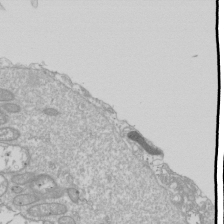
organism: Drosophila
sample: Cell division; meiosis; drosophila spermatocytes